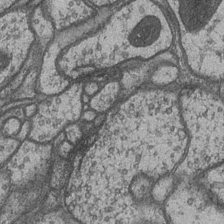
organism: Drosophila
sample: Optic medulla